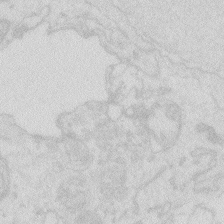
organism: Zebrafish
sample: Macrophage